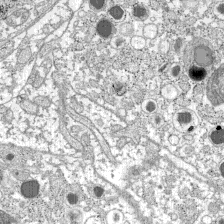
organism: C57BL Mouse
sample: Pancreatic islet